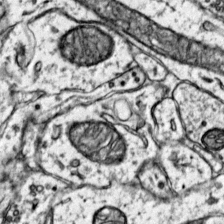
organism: Mouse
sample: Primary visual cortex